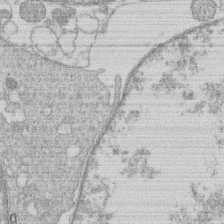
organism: Human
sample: Macrophage cells